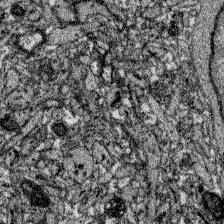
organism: Zebrafish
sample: Larval olfactory bulb